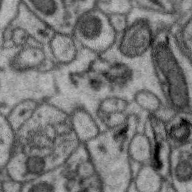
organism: Zebra finch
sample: Brain